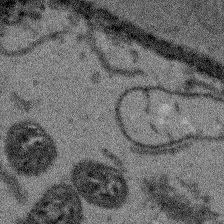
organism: Arabidopsis thaliana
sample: Root tip